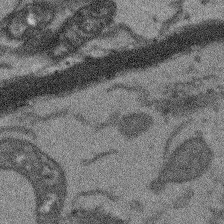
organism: Arabidopsis thaliana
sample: Root tip